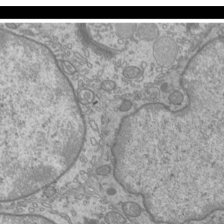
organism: Mouse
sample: Cilia; mouse epididymis